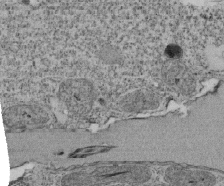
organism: Tetrahymena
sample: Cilia in tetrahymena